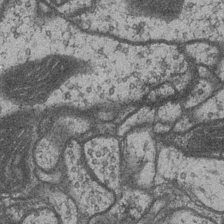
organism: Drosophila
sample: Optic medulla